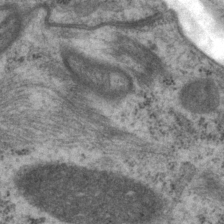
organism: P. pacificus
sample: Pharynx